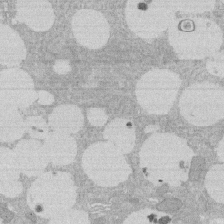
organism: Rat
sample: Salivary granule